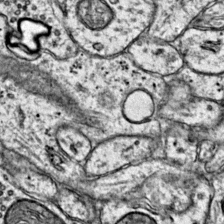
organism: Mouse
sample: Primary visual cortex